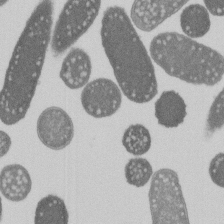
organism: E. coli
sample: Bacterial nucleoid